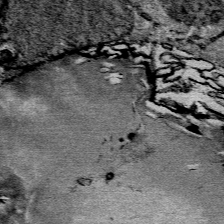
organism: Mouse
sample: Mouse Salivary gland